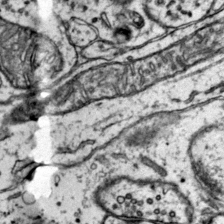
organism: Mouse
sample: Primary visual cortex